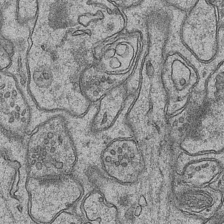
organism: Mouse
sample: CA1 Hippocampus